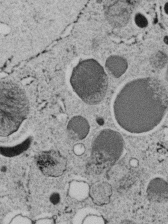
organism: C. elegans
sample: C. elegans embryo early stage